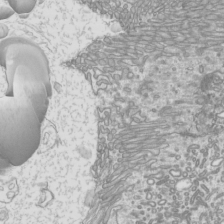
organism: Mouse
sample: Cilia; mouse epididymis